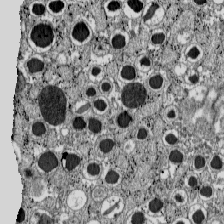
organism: C57BL Mouse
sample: Pancreatic islet